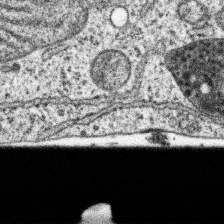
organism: Human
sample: HeLa cells